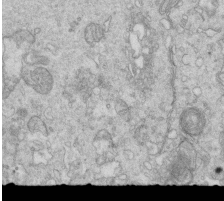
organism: Mouse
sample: Multiciliated cells